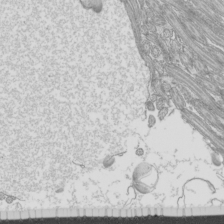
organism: Mouse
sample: Cilia; mouse epididymis